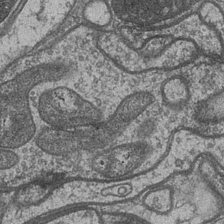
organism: Drosophila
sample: Optic medulla